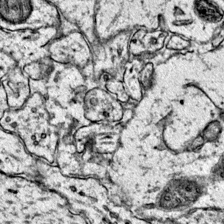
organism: Mouse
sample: Primary visual cortex